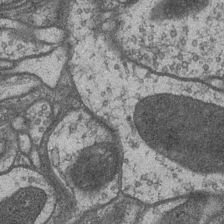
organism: Drosophila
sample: Optic medulla